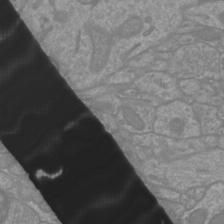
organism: Mouse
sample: Cortical neurons